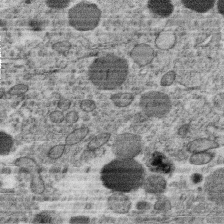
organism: C. elegans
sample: C. elegans oocyte; sperm cells